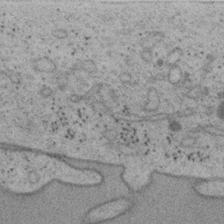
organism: Human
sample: HeLa cells